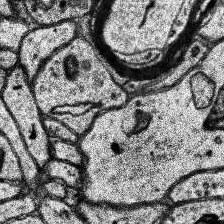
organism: Human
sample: Temporal Lobe